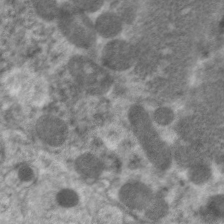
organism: C. elegans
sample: Pharynx